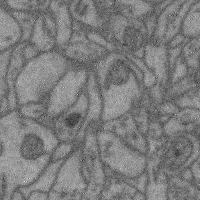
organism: Mouse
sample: Cerebral cortex